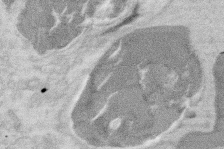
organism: Mouse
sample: T cell stromal cell synapse